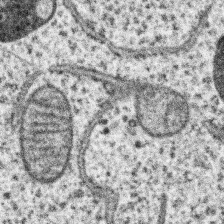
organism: Human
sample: HeLa cells